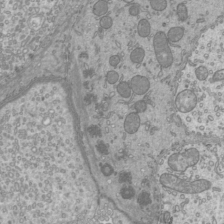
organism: Mouse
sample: Cilia; mouse epididymis